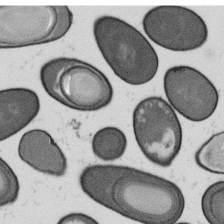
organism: B. subtilis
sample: Bacterial spore